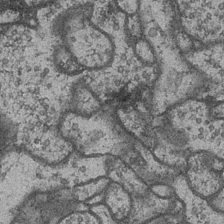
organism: Drosophila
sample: Optic medulla